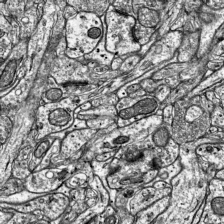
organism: Mouse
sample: Visual Cortex